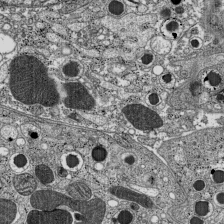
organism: C57BL Mouse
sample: Pancreatic islet